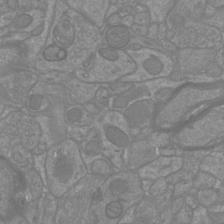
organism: Mouse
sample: Cortical neurons